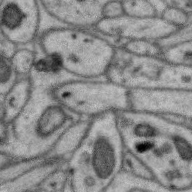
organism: Zebra finch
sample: Brain